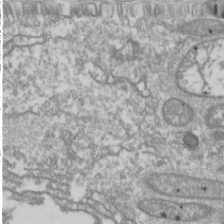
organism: Drosophila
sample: Cell division; meiosis; drosophila spermatocytes